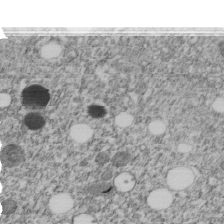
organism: C. elegans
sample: C. elegans embryo early stage